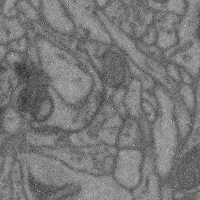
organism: Mouse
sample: Cerebral cortex